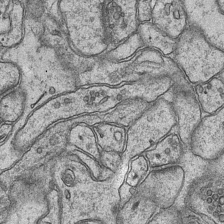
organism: Mouse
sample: CA1 Hippocampus